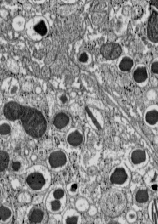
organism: C57BL Mouse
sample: Pancreatic islet